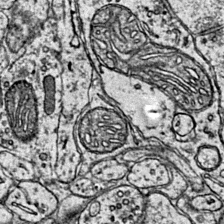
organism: Mouse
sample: Primary visual cortex